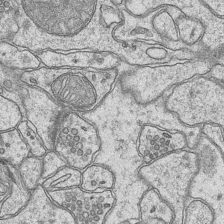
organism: Mouse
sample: CA1 Hippocampus